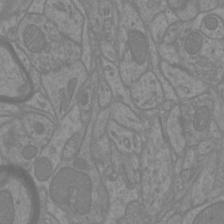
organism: Mouse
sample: Cortical neurons